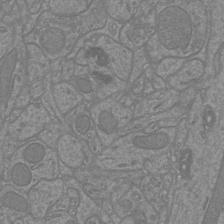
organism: Mouse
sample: Cortical neurons